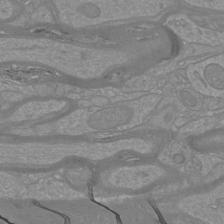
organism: Mouse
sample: Cortical neurons